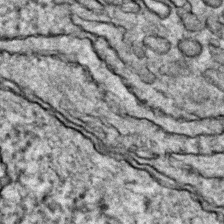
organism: Zebrafish